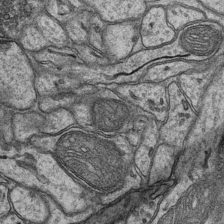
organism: Mouse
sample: CA1 Hippocampus